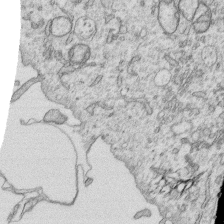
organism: Human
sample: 1205lu cells